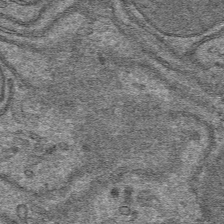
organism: Mouse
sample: Mouse hepatocytes